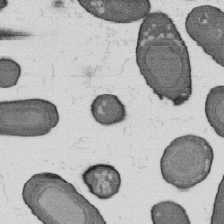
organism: B. subtilis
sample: Bacterial spore